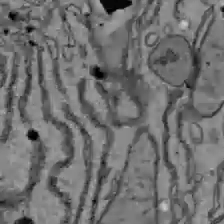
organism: C57BL Mouse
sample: Liver